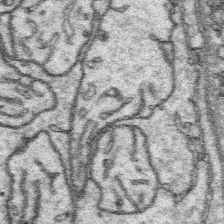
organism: Platynereis dumerilii